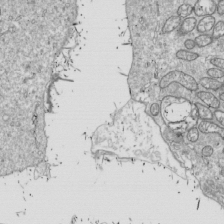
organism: Drosophila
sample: Cell division; meiosis; drosophila spermatocytes